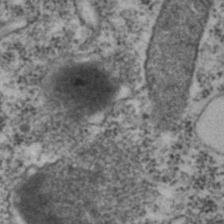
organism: C. elegans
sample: C. elegans embryo